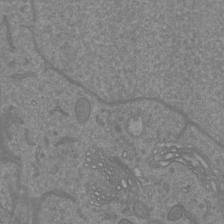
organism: Mouse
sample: Cortical neurons